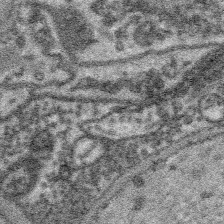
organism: Platynereis dumerilii